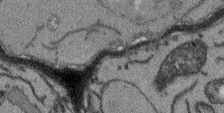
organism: Arabidopsis thaliana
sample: Root tip